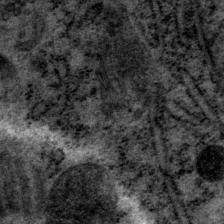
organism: P. pacificus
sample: Pharynx